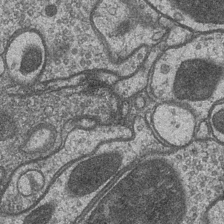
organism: Drosophila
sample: Optic medulla